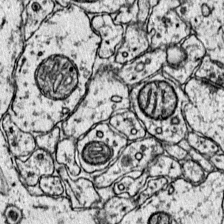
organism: Mouse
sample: Primary visual cortex